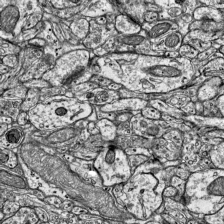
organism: Mouse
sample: Visual Cortex